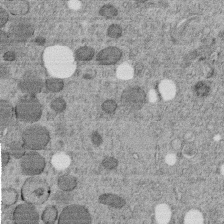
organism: C. elegans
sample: C. elegans embryo early stage